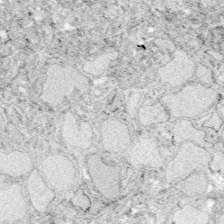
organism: Zebrafish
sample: Whole-Brain